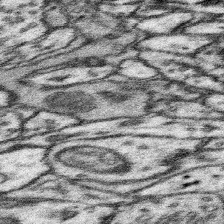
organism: Mouse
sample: Somatosensory cortex neuropil